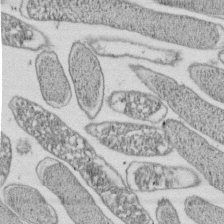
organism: E. coli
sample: Bacterial nucleoid